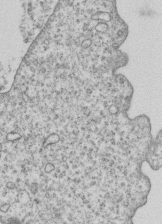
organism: Human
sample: MDA-MB-231 cells